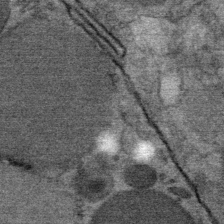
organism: Mouse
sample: Mouse Salivary gland